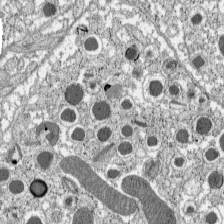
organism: C57BL Mouse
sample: Pancreatic islet